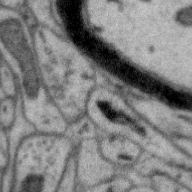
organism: Zebra finch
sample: Brain